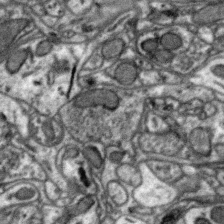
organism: Zebra finch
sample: Brain